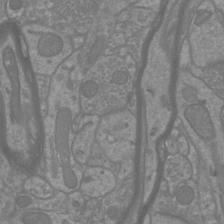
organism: Mouse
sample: Cortical neurons